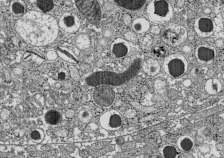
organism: C57BL Mouse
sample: Pancreatic islet